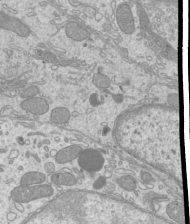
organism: Mouse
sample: Cilia; mouse epididymis